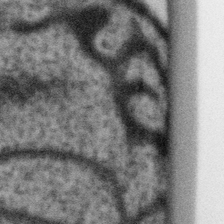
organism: Gemmata obscuriglobus